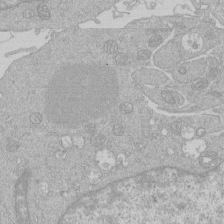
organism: Human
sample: Macrophage cells